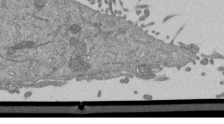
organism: Mouse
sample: ED-1 cell nuclei; centrioles